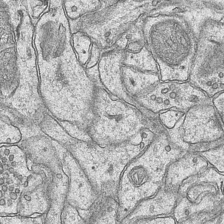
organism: Mouse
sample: CA1 Hippocampus